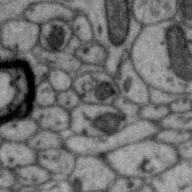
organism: Zebra finch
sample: Brain